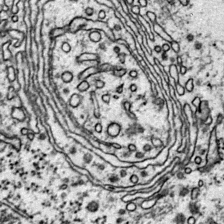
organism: Mouse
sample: Primary visual cortex